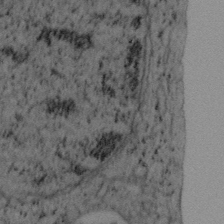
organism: Human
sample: HeLa cells